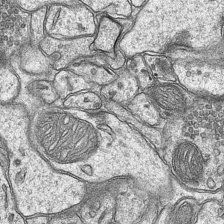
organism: Mouse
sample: CA1 Hippocampus